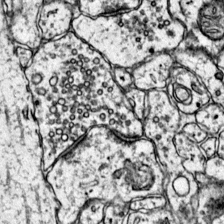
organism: Mouse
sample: Primary visual cortex